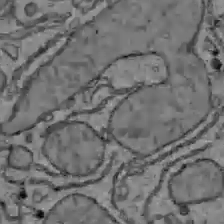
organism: C57BL Mouse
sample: Liver